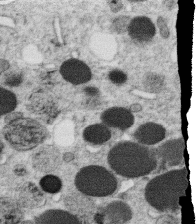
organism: C. elegans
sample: C. elegans oocyte; sperm cells